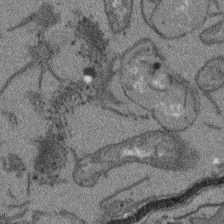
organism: Arabidopsis thaliana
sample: Root tip